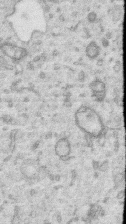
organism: Human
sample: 1205lu cells